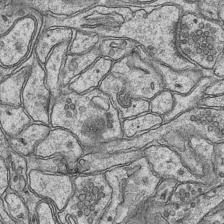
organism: Mouse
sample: CA1 Hippocampus